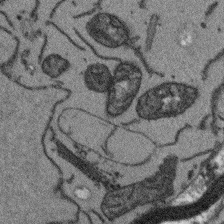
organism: Arabidopsis thaliana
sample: Root tip